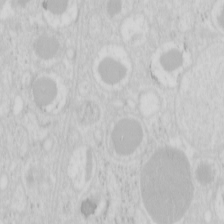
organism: Mouse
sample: Pancreas